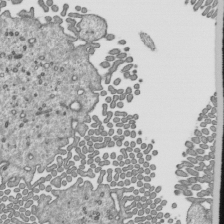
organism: Mouse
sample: Mouse epididymis efferent ductule cilia